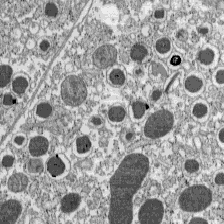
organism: C57BL Mouse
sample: Pancreatic islet